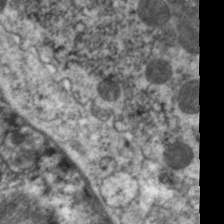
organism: C. elegans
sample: Pharynx